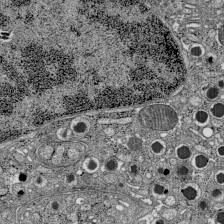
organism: C57BL Mouse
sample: Pancreatic islet